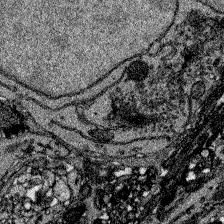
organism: Zebrafish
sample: Larval olfactory bulb